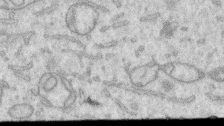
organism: Human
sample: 1205lu cells